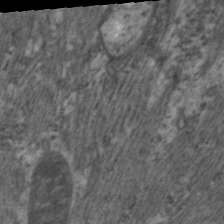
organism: C. elegans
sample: Pharynx